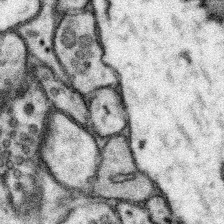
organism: Mouse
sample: Somatosensory cortex neuropil